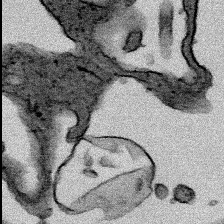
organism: Human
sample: Mitochondria in HCT116 cells